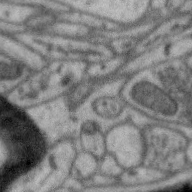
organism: Zebra finch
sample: Brain